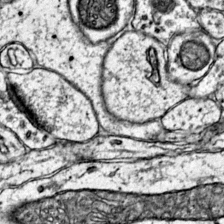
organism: Mouse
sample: Primary visual cortex